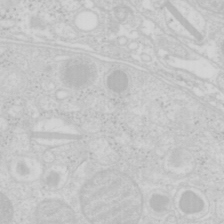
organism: Mouse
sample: Pancreas